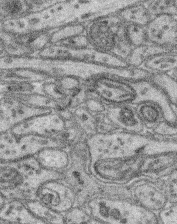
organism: Mouse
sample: Retina